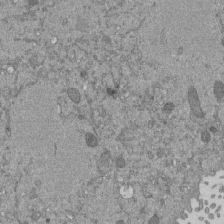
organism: Mouse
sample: ED-1 cell nuclei; centrioles